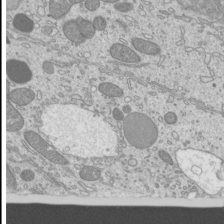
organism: Mouse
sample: Cilia; mouse epididymis